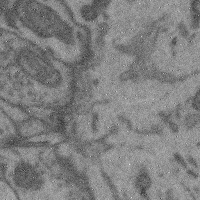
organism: Mouse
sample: Cerebral cortex